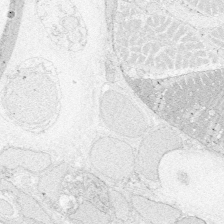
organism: Zebrafish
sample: Whole-Brain